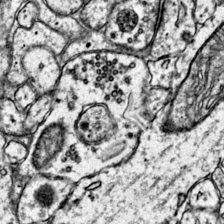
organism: Mouse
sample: Primary visual cortex